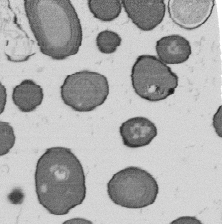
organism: B. subtilis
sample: Bacterial spore